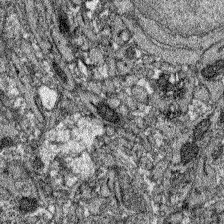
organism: Zebrafish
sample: Larval olfactory bulb